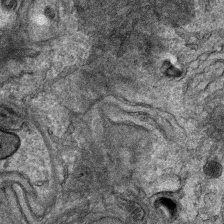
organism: Mouse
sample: Mouse Salivary gland